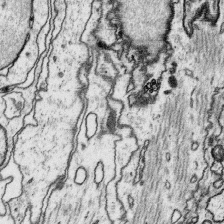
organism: Platynereis dumerilii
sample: Parapodia